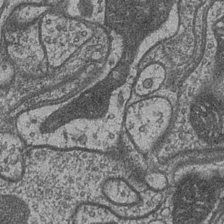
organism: Drosophila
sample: Optic medulla